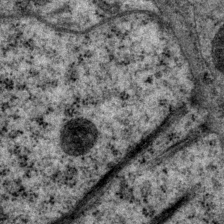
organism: P. pacificus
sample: Pharynx